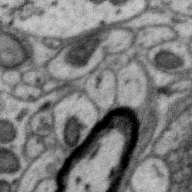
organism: Zebra finch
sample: Brain